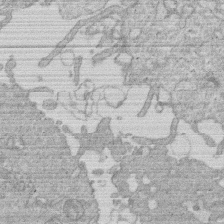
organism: Human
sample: Macrophage cells